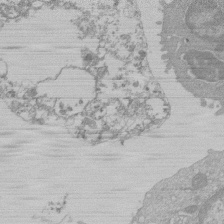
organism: Mouse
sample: Activated Pmel transgenic CD8+ T Cells